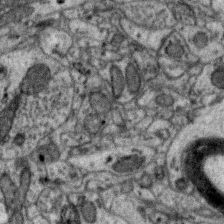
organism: Zebra finch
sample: Brain